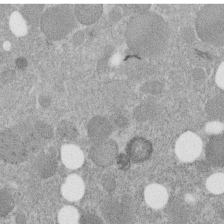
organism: C. elegans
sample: C. elegans embryo early stage